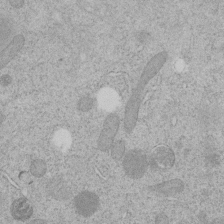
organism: C. elegans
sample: C. elegans embryo early stage